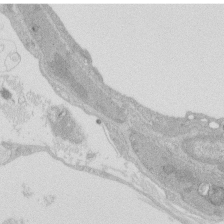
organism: Rat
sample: Salivary granule